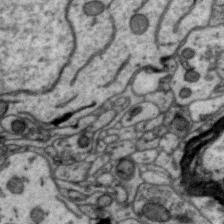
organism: Zebra finch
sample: Brain